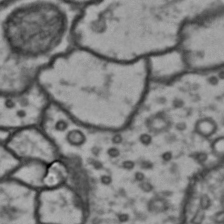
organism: Drosophila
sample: Brain